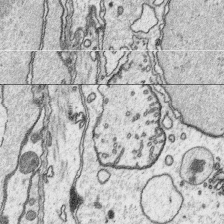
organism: Platynereis dumerilii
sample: Parapodia